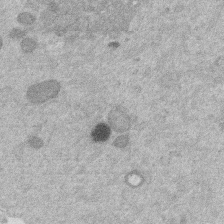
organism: Mouse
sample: Dividing mouse embryo 1 cell stage